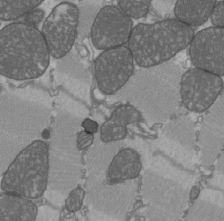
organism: C57BL Mouse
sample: Heart